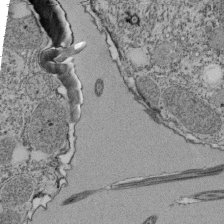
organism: Tetrahymena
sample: Cilia in tetrahymena